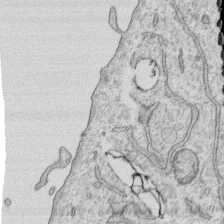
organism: Human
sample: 1205lu cells